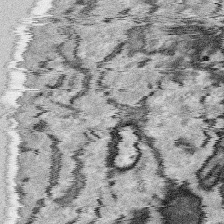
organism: Human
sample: HeLa cells